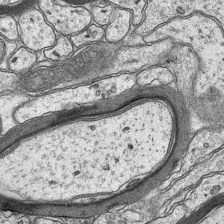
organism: Mouse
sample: CA1 Hippocampus